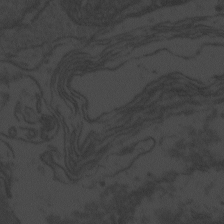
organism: Zebrafish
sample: Macrophage infected with Toxoplasma gondii